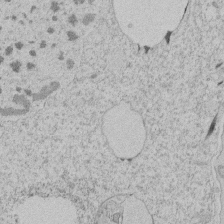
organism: Tetrahymena